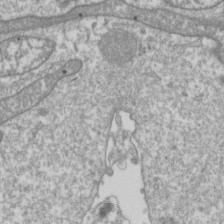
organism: Drosophila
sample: Cell division; meiosis; drosophila spermatocytes